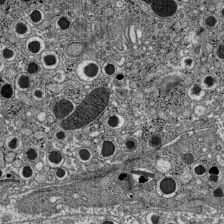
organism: C57BL Mouse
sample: Pancreatic islet